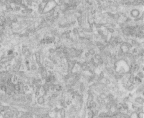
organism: Human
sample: Centriole in fibroblast cells